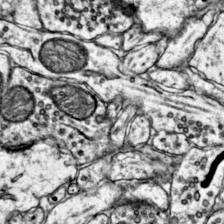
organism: Mouse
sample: Primary visual cortex